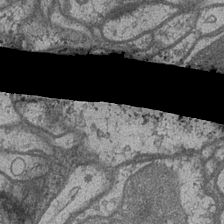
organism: Drosophila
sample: Optic medulla